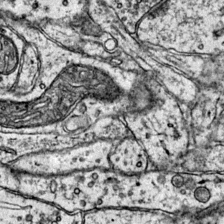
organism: Mouse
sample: Primary visual cortex